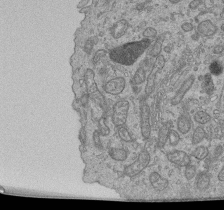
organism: Human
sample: Retinal organoid Rod and Cone cells